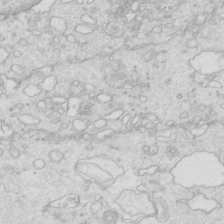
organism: Mouse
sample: Multiciliated cells